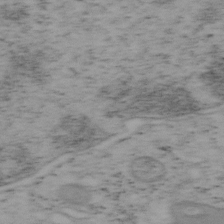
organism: Mouse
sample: OT-I killer T cells with ID8 ovarian cancer cells